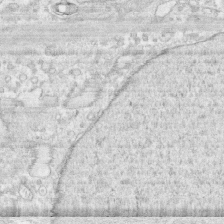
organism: Human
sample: CRL-1474